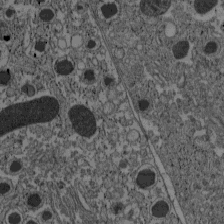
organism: C57BL Mouse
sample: Pancreatic islet